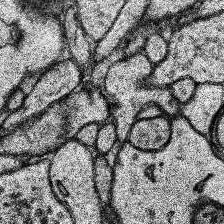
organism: Human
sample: Temporal Lobe